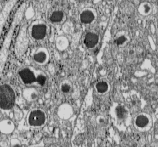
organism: C57BL Mouse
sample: Pancreatic islet